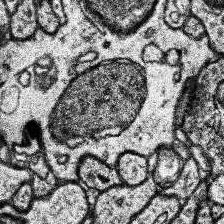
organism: Human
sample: Temporal Lobe